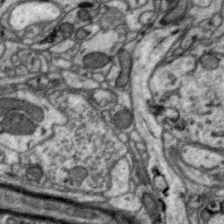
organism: Zebra finch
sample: Brain